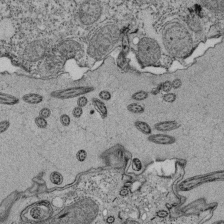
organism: Tetrahymena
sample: Cilia in tetrahymena